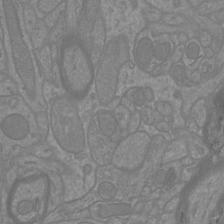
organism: Mouse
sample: Cortical neurons